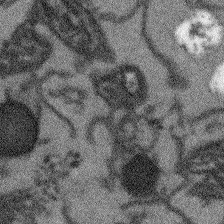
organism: Arabidopsis thaliana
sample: Root tip